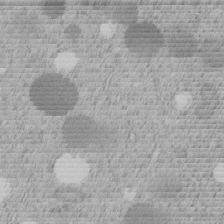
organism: C. elegans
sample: C. elegans embryo early stage